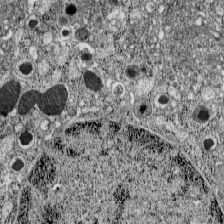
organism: C57BL Mouse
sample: Pancreatic islet